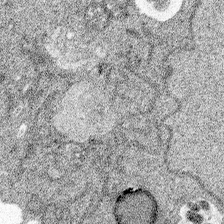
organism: Spongilla lacustris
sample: Multiple